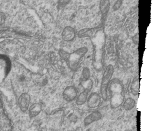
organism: Human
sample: MDA-MB-231 cells